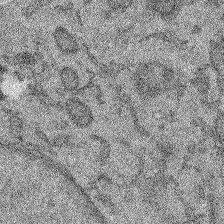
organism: Human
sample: HeLa cells